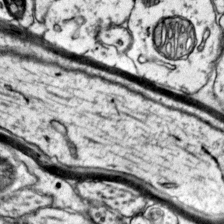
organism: Mouse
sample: Primary visual cortex